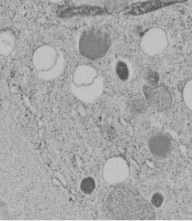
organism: C. elegans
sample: C. elegans embryo early stage